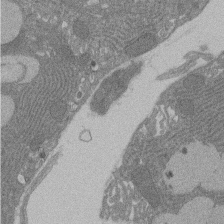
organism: Rat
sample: Salivary granule